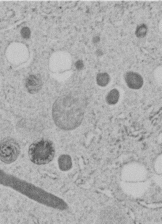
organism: C. elegans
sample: C. elegans embryo early stage